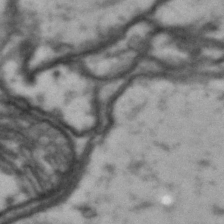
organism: Drosophila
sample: Brain